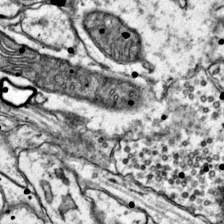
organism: Mouse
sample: Primary visual cortex